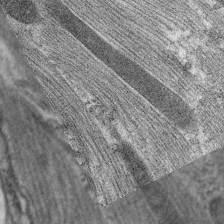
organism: C. elegans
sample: Pharynx